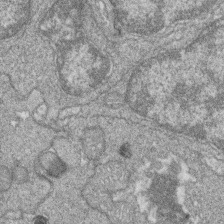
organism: Zebrafish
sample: Cilia; retinal pigment epithelium